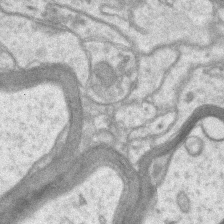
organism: Mouse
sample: CA1 Hippocampus